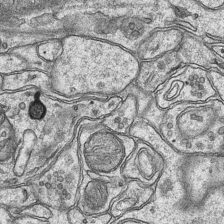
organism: Mouse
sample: CA1 Hippocampus